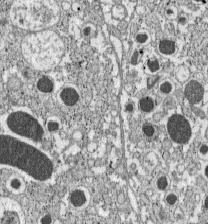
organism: C57BL Mouse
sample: Pancreatic islet